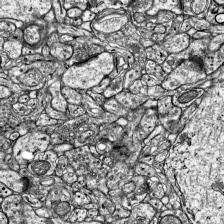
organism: Mouse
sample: Visual Cortex